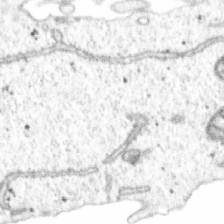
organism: Human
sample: HeLa cells